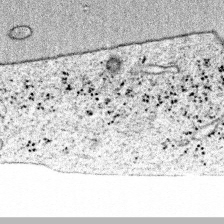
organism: Human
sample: HeLa cells